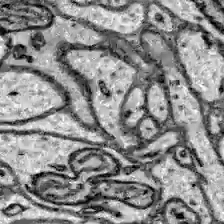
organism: Zebrafish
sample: Brain